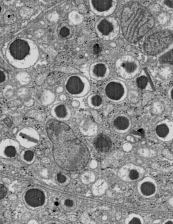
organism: C57BL Mouse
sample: Pancreatic islet